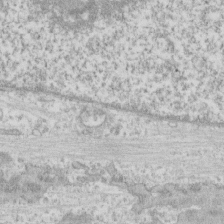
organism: Human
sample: CRL-1474